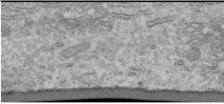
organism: Human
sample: Cilia; basal body in RPE cells